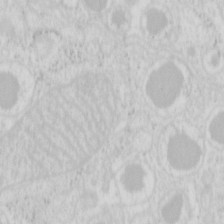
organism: Mouse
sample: Pancreas